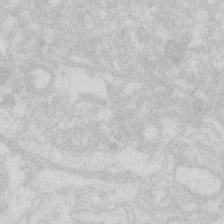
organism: Zebrafish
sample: Macrophage